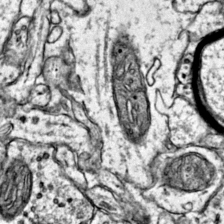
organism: Mouse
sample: Primary visual cortex